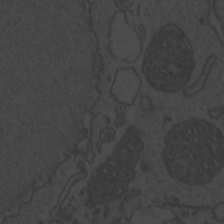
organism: Zebrafish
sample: Macrophage infected with Toxoplasma gondii